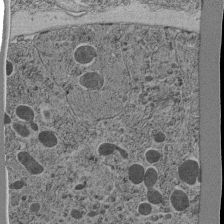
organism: C. elegans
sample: C. elegans pharynx